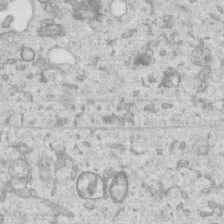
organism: Human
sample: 1205lu cells